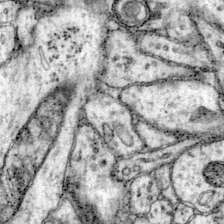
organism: Mouse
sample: Primary visual cortex